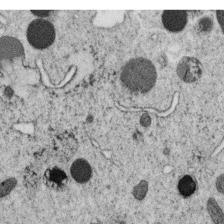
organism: C. elegans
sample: C. elegans oocyte; sperm cells